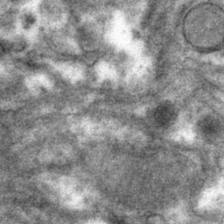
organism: Mouse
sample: Mouse hepatocytes